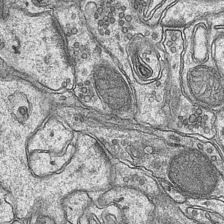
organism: Mouse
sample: CA1 Hippocampus